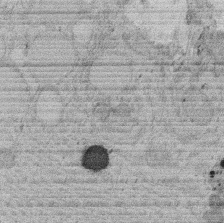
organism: Rat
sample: Salivary granule